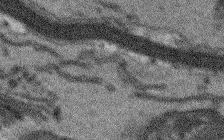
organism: Arabidopsis thaliana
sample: Root tip